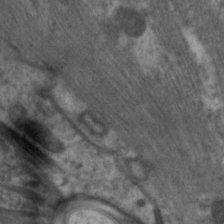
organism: C. elegans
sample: Pharynx